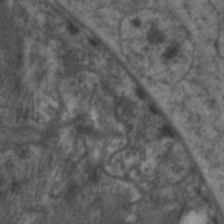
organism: C. elegans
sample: Pharynx